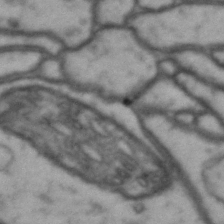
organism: Drosophila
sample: Brain